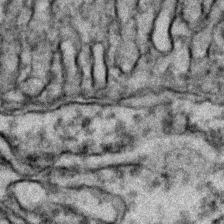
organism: Zebrafish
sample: Zebrafish embryo